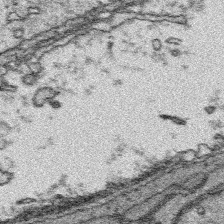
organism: Platynereis dumerilii